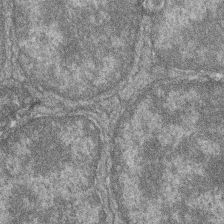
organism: Zebrafish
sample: Cilia; retinal pigment epithelium